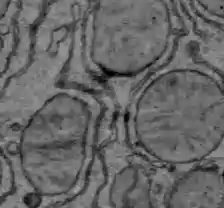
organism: C57BL Mouse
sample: Liver